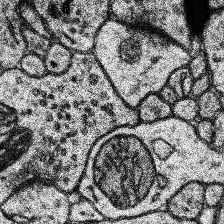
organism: Human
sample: Temporal Lobe